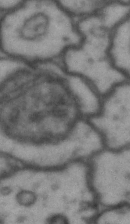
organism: Drosophila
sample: Brain